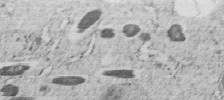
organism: C. elegans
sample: C. elegans embryo early stage